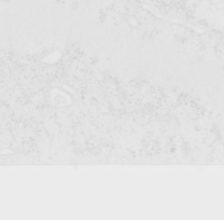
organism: Human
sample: T Cells (Jurkat E6.1)